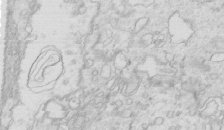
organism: Mouse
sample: Multiciliated cells